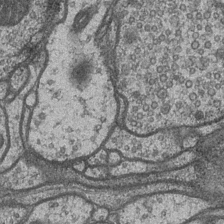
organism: Drosophila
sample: Optic medulla